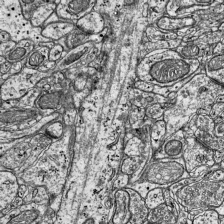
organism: Mouse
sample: Visual Cortex